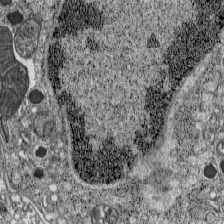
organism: C57BL Mouse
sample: Pancreatic islet